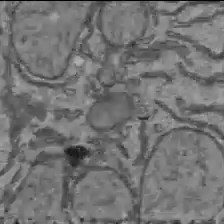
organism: C57BL Mouse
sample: Liver